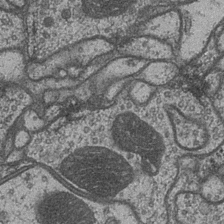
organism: Drosophila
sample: Optic medulla